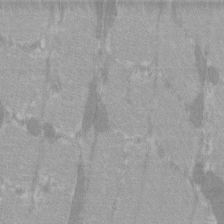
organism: C57BL Mouse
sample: Tibialis anterior muscle cell